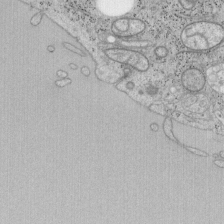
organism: Mouse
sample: OT-I killer T cells with ID8 ovarian cancer cells